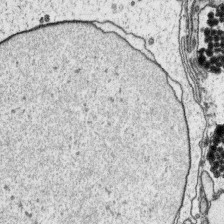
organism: Platynereis dumerilii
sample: Parapodia